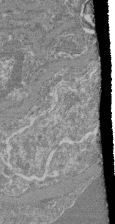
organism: Mouse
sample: Glomerulus